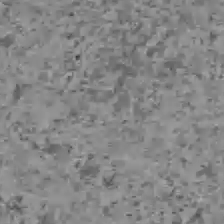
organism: C57BL Mouse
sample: Liver